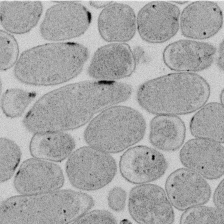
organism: E. coli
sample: Bacterial nucleoid